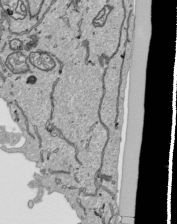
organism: Human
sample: Mitochondria in HCT116 cells